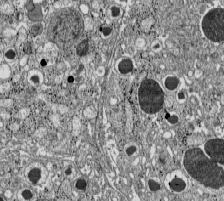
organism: C57BL Mouse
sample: Pancreatic islet